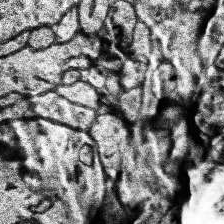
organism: Human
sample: Temporal Lobe